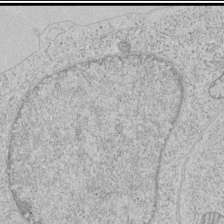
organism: Human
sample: Mitochondria in HCT116 cells